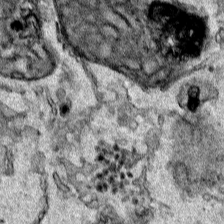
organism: Human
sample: Mitochondria in HCT116 cells